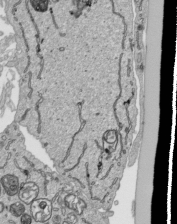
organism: Human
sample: Mitochondria in HCT116 cells